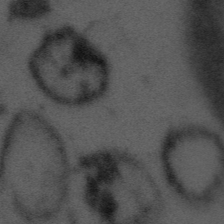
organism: Tuwongella immobilis